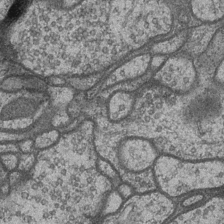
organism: Drosophila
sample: Optic medulla